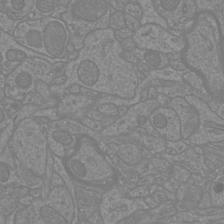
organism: Mouse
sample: Cortical neurons